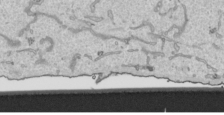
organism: Human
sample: Mitochondria in HCT116 cells